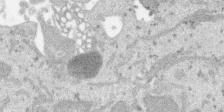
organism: Human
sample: Lung epithelial cells infected with SARS-CoV-2